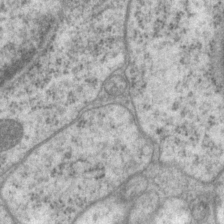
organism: P. pacificus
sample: Pharynx